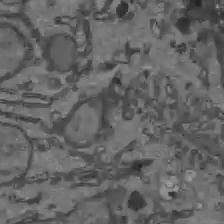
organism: C57BL Mouse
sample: Liver